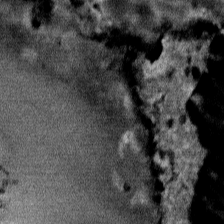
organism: Mouse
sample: Mouse Salivary gland